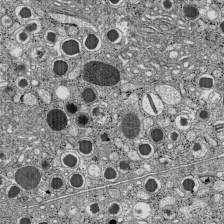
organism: C57BL Mouse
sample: Pancreatic islet